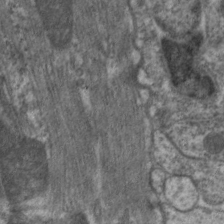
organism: C. elegans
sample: Pharynx